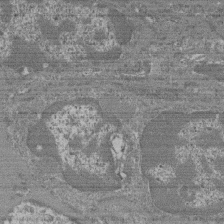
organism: Mouse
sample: Glomerulus